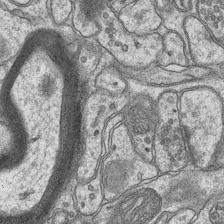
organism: Mouse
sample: CA1 Hippocampus